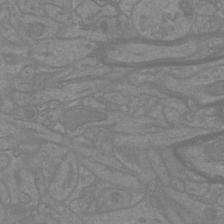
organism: Mouse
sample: Cortical neurons